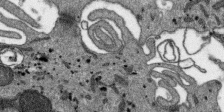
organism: Human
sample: Lung epithelial cells, uninfected (mock) control